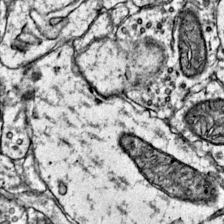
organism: Mouse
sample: Primary visual cortex